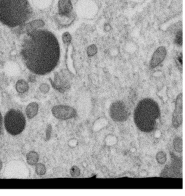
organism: C. elegans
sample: C. elegans oocyte; sperm cells